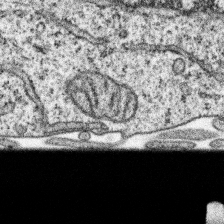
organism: Human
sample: HeLa cells